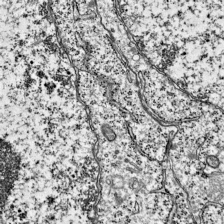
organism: Mouse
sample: Visual Cortex